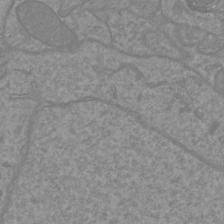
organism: Mouse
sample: Cortical neurons